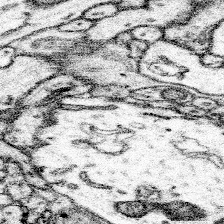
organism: Mouse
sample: Somatosensory cortex neuropil